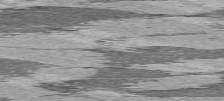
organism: C57BL Mouse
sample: Heart